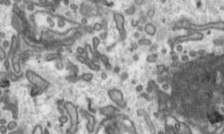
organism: Toxoplasma gondii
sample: Parasites in a vacuole inside a host cell